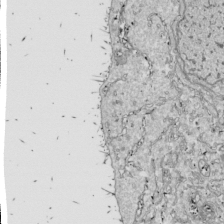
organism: Drosophila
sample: Cell division; meiosis; drosophila spermatocytes